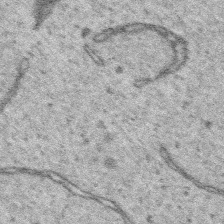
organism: Platynereis dumerilii